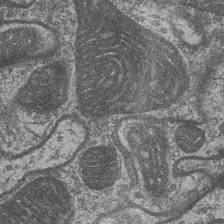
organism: Drosophila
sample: Optic medulla